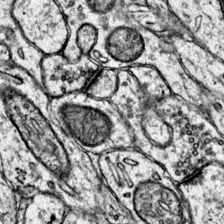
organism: Mouse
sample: Primary visual cortex